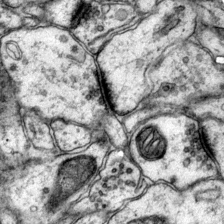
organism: Mouse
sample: Primary visual cortex